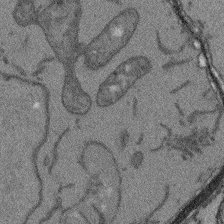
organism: Arabidopsis thaliana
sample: Root tip